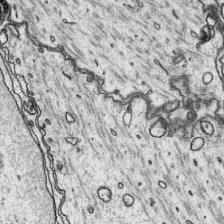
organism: Platynereis dumerilii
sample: Parapodia